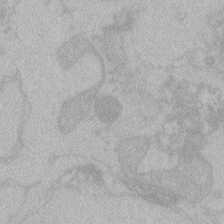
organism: Zebrafish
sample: Macrophage infected with Toxoplasma gondii